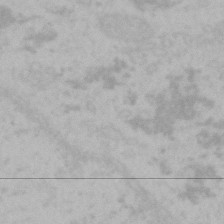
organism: Mouse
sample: Choroid plexus